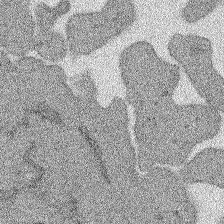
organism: Human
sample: HeLa cells